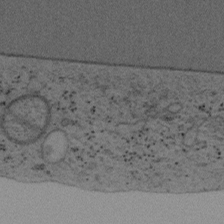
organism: Human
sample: HeLa cells